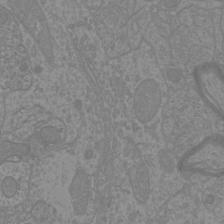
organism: Mouse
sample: Cortical neurons